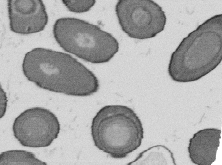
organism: B. subtilis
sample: Bacterial spore